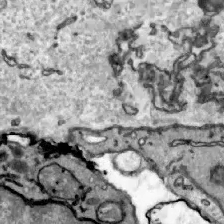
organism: Zebrafish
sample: Actinotrichia fibers